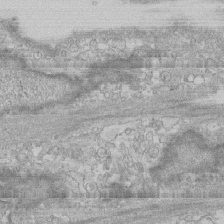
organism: Human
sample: CRL-1474